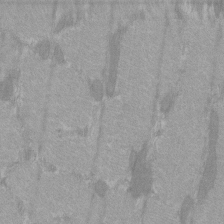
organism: C57BL Mouse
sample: Tibialis anterior muscle cell